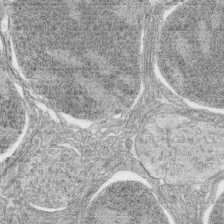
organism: Zebrafish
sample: synaptic ribbons in rod cells and cone cells